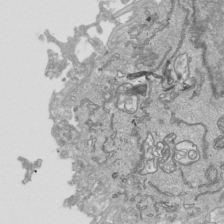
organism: Human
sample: Mitochondria in HCT116 cells